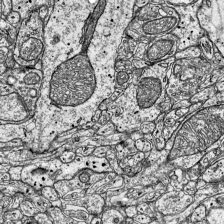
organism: Mouse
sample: Visual Cortex